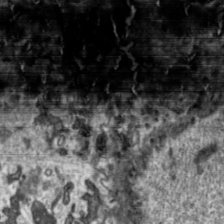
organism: Toxoplasma gondii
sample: Parasites in a vacuole inside a host cell